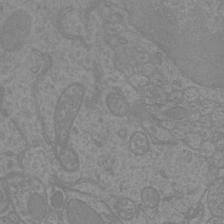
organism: Mouse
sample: Cortical neurons